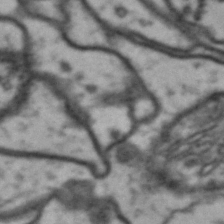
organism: Drosophila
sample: Brain